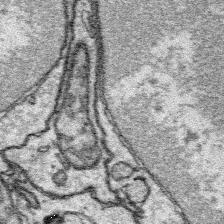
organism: Platynereis dumerilii